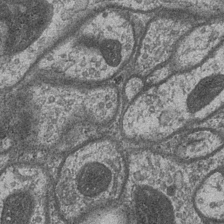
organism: Drosophila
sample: Optic medulla